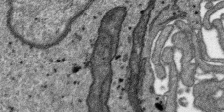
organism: Human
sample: Lung epithelial cells, uninfected (mock) control